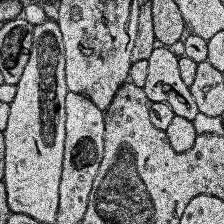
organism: Human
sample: Temporal Lobe